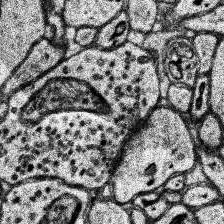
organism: Human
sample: Temporal Lobe